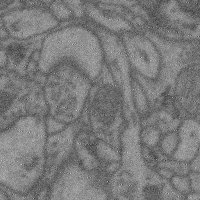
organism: Mouse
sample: Cerebral cortex